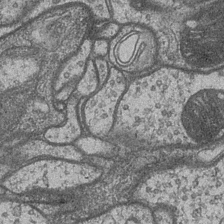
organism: Drosophila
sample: Optic medulla